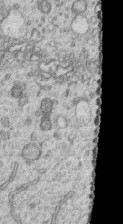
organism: Human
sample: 1205lu cells